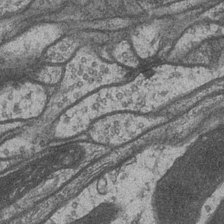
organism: Drosophila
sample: Optic medulla